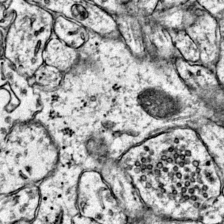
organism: Mouse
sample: Primary visual cortex